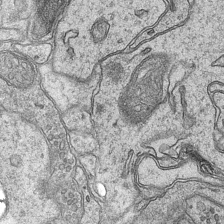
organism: Mouse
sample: CA1 Hippocampus